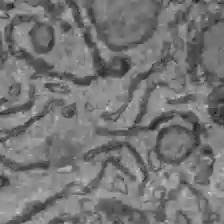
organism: C57BL Mouse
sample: Liver